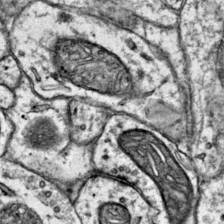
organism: Mouse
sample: Primary visual cortex